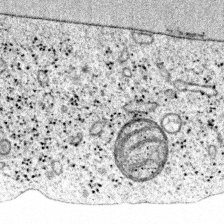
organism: Human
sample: HeLa cells